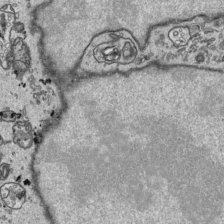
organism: Human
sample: Mitochondria in HCT116 cells